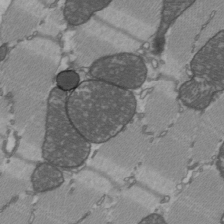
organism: C57BL Mouse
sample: Heart